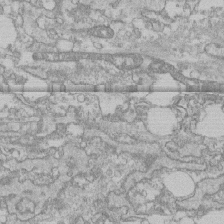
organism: Human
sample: CRL-1474